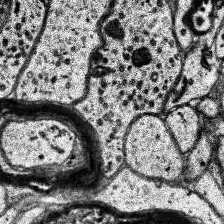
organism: Human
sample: Temporal Lobe